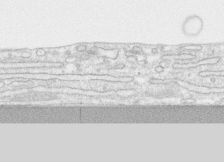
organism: Human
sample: CRL-1474